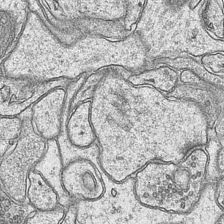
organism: Mouse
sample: CA1 Hippocampus